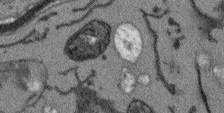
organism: Arabidopsis thaliana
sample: Root tip